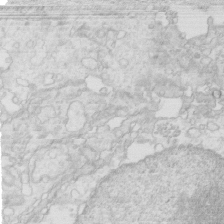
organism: Mouse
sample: Multiciliated cells